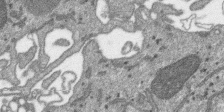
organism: Human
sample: Lung epithelial cells infected with SARS-CoV-2